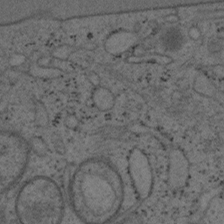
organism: Human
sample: HeLa cells